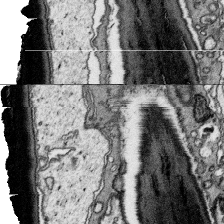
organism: Platynereis dumerilii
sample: Parapodia